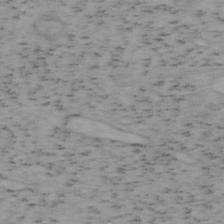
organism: Mouse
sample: OT-I killer T cells with ID8 ovarian cancer cells